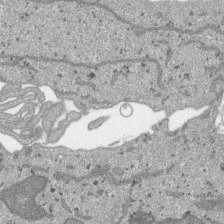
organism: Human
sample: Lung epithelial cells infected with SARS-CoV-2